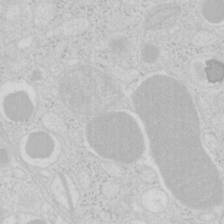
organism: Mouse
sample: Pancreas